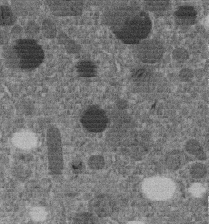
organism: C. elegans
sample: C. elegans embryo early stage